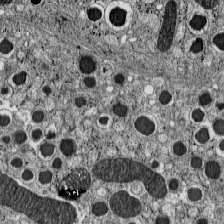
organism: C57BL Mouse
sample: Pancreatic islet